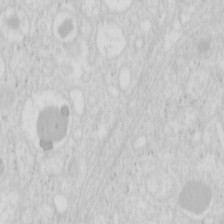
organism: Mouse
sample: Pancreas